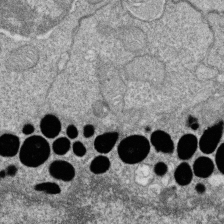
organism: Zebrafish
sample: Cilia; retinal pigment epithelium